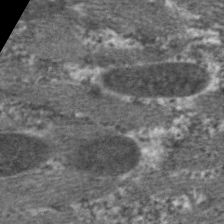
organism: C. elegans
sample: Pharynx